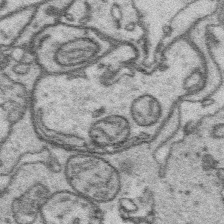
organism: Platynereis dumerilii